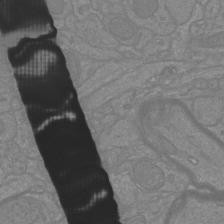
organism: Mouse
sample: Cortical neurons